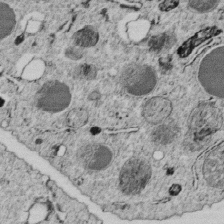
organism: C. elegans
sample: C. elegans embryo early stage